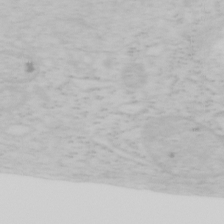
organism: Mouse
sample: OT-I killer T cells with ID8 ovarian cancer cells